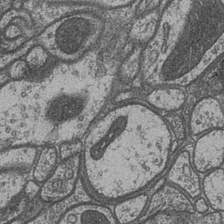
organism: Drosophila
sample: Optic medulla